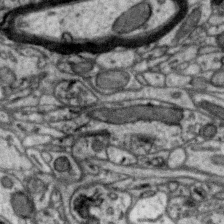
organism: Zebra finch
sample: Brain